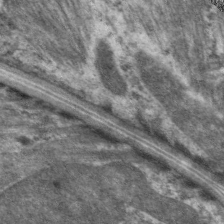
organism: C. elegans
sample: Pharynx